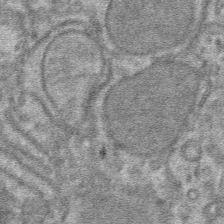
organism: Mouse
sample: Mouse hepatocytes